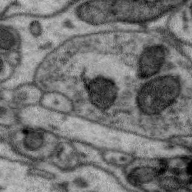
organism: Zebra finch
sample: Brain